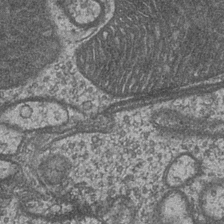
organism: Drosophila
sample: Optic medulla